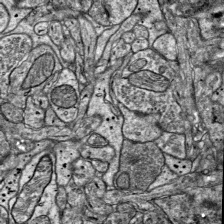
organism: Mouse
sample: Visual Cortex